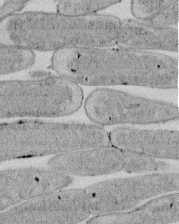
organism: E. coli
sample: Bacterial nucleoid